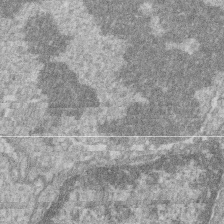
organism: Zebrafish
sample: Cilia; retinal pigment epithelium